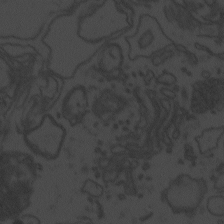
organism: Zebrafish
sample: Macrophage infected with Toxoplasma gondii